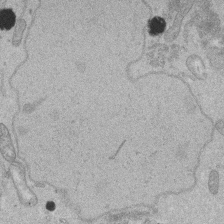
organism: Human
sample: Activated Jurkat CD4+ T cells